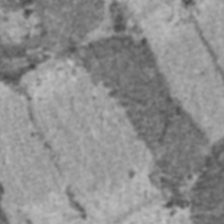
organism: C57BL Mouse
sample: Heart